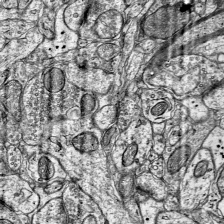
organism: Mouse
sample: Visual Cortex